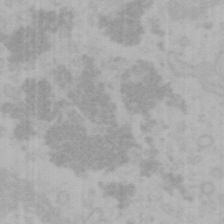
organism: Mouse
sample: Choroid plexus